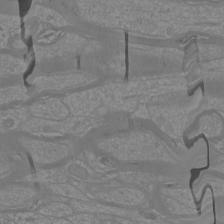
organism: Mouse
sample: Cortical neurons